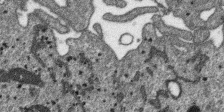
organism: Human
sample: Lung epithelial cells infected with SARS-CoV-2